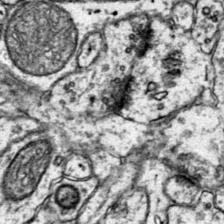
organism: Mouse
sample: Primary visual cortex